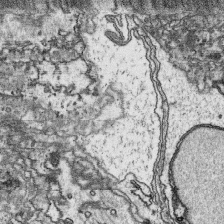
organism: Platynereis dumerilii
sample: Parapodia